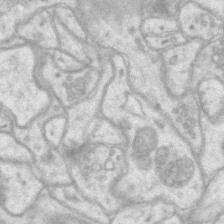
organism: Mouse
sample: CA1 Hippocampus